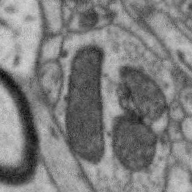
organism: Zebra finch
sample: Brain